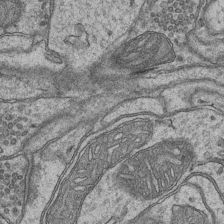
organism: Mouse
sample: CA1 Hippocampus